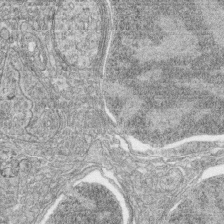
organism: Zebrafish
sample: synaptic ribbons in rod cells and cone cells